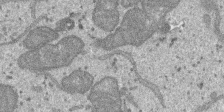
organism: Human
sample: Lung epithelial cells infected with SARS-CoV-2